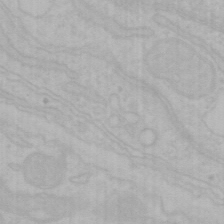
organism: Mouse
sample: Choroid plexus